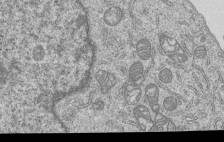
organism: Human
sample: MDA-MB-231 cells